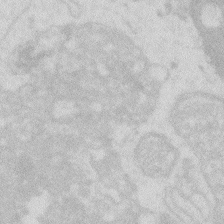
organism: Zebrafish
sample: Macrophage